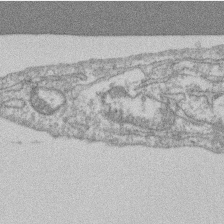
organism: Mouse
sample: T cell stromal cell synapse